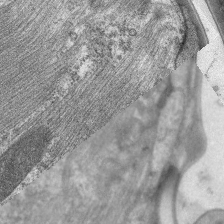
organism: C. elegans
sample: Pharynx